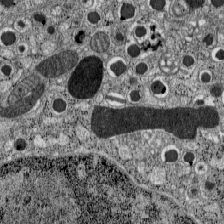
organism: C57BL Mouse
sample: Pancreatic islet